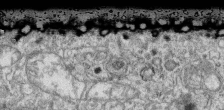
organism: Human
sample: HeLa cell HIV synapse